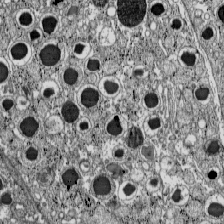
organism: C57BL Mouse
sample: Pancreatic islet